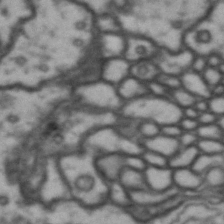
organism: Drosophila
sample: Brain